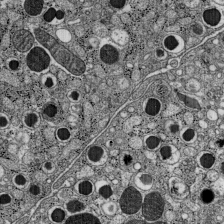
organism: C57BL Mouse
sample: Pancreatic islet